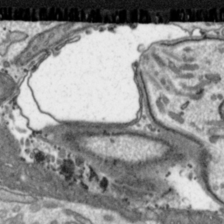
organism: Toxoplasma gondii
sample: Parasites in a vacuole inside a host cell